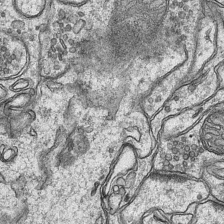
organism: Mouse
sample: CA1 Hippocampus